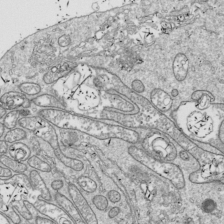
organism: Drosophila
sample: Cell division; meiosis; drosophila spermatocytes